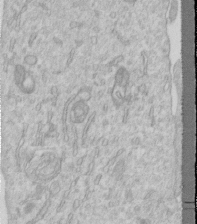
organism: Human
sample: Centriole in RPE cells